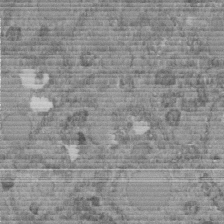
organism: C. elegans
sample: C. elegans embryo early stage